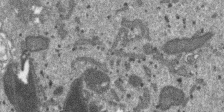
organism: Human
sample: Lung epithelial cells infected with SARS-CoV-2